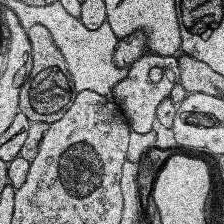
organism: Human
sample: Temporal Lobe